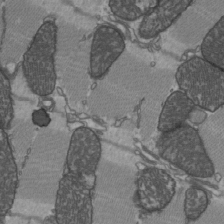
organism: C57BL Mouse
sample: Heart